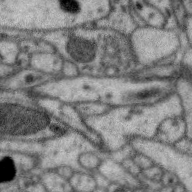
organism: Zebra finch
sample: Brain